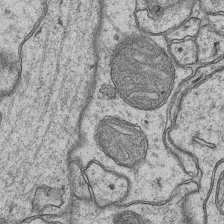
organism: Mouse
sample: CA1 Hippocampus